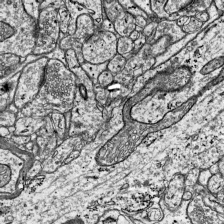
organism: Mouse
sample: Visual Cortex